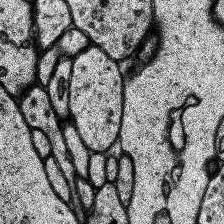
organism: Human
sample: Temporal Lobe